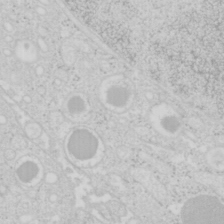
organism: Mouse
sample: Pancreas